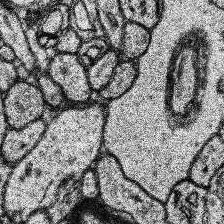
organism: Human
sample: Temporal Lobe